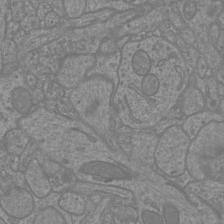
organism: Mouse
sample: Cortical neurons